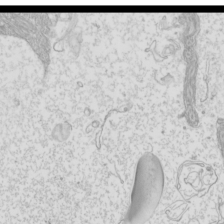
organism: Mouse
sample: Cilia; mouse epididymis